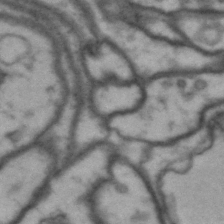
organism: Drosophila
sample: Brain